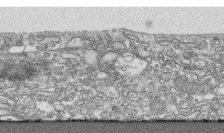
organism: Human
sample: CRL-1474